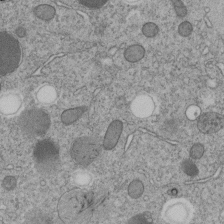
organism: C. elegans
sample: C. elegans embryo early stage